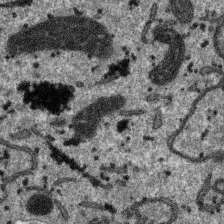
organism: Human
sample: Lung epithelial cells infected with SARS-CoV-2